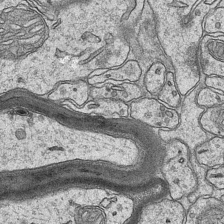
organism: Mouse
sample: CA1 Hippocampus